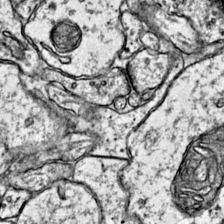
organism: Mouse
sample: Primary visual cortex